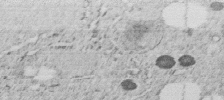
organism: C. elegans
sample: C. elegans embryo early stage